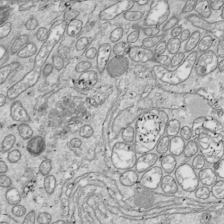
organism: Drosophila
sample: Cell division; meiosis; drosophila spermatocytes